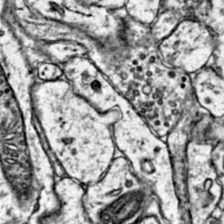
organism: Mouse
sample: Primary visual cortex